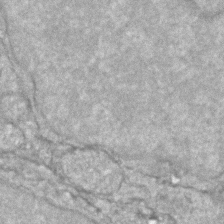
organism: Zebrafish